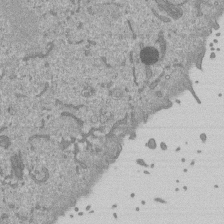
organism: Mouse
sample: ED-1 cell nuclei; centrioles